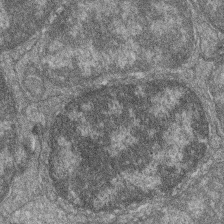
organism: Zebrafish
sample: Cilia; retinal pigment epithelium